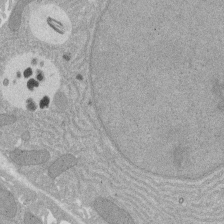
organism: Rat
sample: Salivary granule